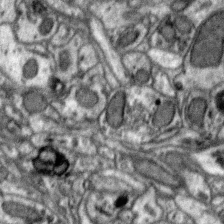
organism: Zebra finch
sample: Brain